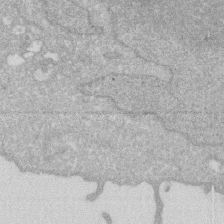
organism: Human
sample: HIV infected U937 cells